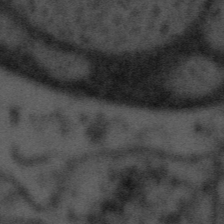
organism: Tuwongella immobilis